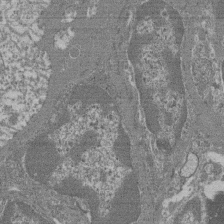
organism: Mouse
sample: Glomerulus